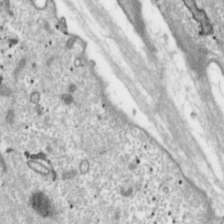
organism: Toxoplasma gondii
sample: Parasites in a vacuole inside a host cell